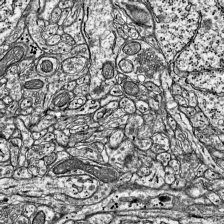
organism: Mouse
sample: Visual Cortex